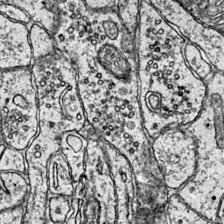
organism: Mouse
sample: Primary visual cortex